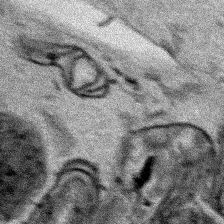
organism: Human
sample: Mitochondria in HCT116 cells